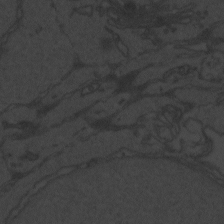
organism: Zebrafish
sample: Macrophage infected with Toxoplasma gondii